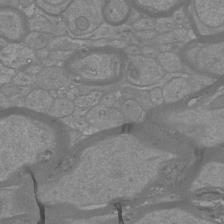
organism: Mouse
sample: Cortical neurons